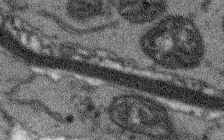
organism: Arabidopsis thaliana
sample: Root tip